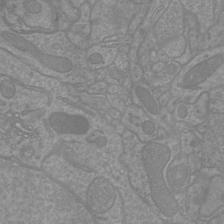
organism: Mouse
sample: Cortical neurons